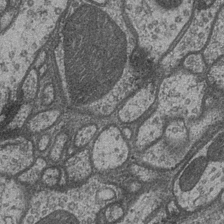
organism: Drosophila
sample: Optic medulla